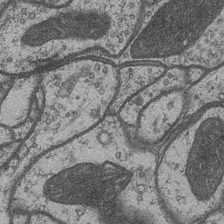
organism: Drosophila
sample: Optic medulla